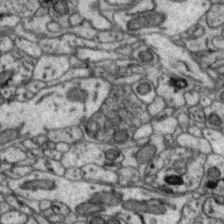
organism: Zebra finch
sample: Brain